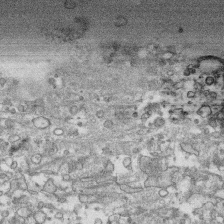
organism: Human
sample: CRL-1474